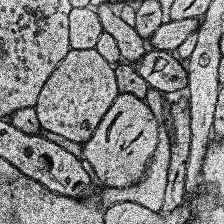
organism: Human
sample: Temporal Lobe